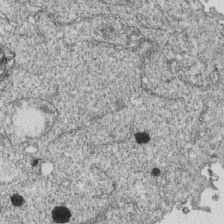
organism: Human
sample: HeLa cell HIV synapse